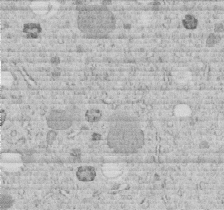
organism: C. elegans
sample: C. elegans embryo early stage